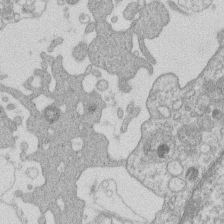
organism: Human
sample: Macrophage cells